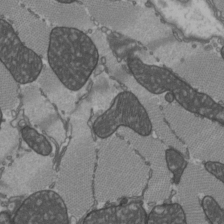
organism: C57BL Mouse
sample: Heart